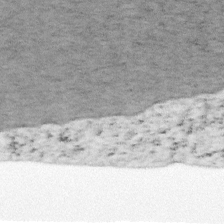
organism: Mouse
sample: OT-I killer T cells with ID8 ovarian cancer cells